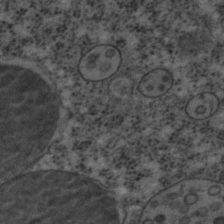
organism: C. elegans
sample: C. elegans embryo